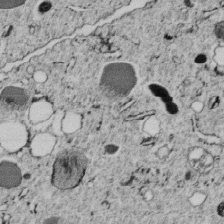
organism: C. elegans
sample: C. elegans embryo early stage